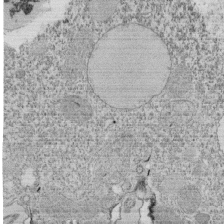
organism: Tetrahymena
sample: Cilia in tetrahymena